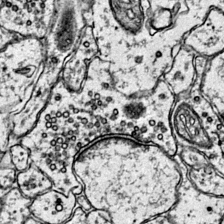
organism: Mouse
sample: Primary visual cortex